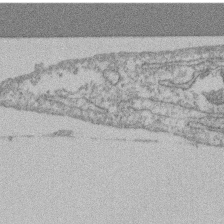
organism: Mouse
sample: T cell stromal cell synapse